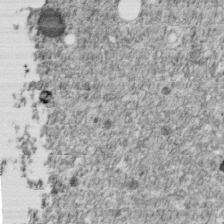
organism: C. elegans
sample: C. elegans embryo early stage